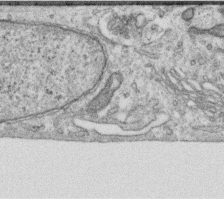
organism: Human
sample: Centriole in RPE cells